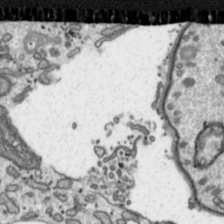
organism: Toxoplasma gondii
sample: Parasites in a vacuole inside a host cell